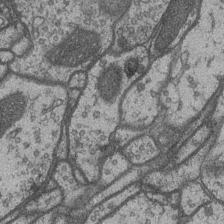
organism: Drosophila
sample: Optic medulla